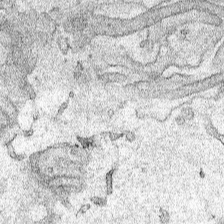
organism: Human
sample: Mitochondria in HCT116 cells